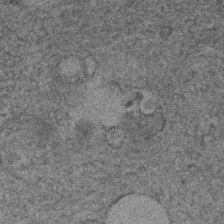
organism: Human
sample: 1205lu cells